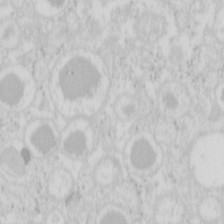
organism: Mouse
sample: Pancreas